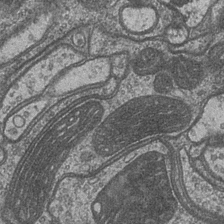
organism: Drosophila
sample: Optic medulla